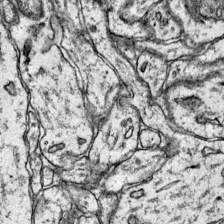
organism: Mouse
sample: Primary visual cortex